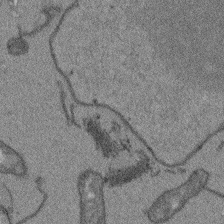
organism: Arabidopsis thaliana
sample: Root tip